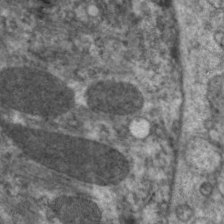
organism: C. elegans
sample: Pharynx